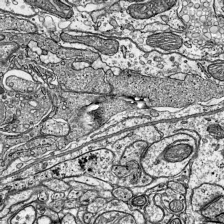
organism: Mouse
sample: Visual Cortex